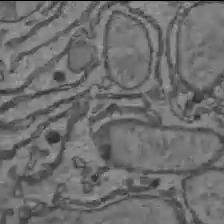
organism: C57BL Mouse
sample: Liver